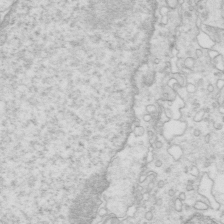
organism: Mouse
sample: Multiciliated cells